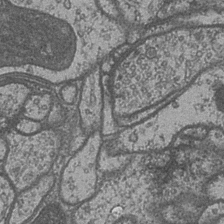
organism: Drosophila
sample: Optic medulla